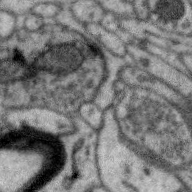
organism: Zebra finch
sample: Brain